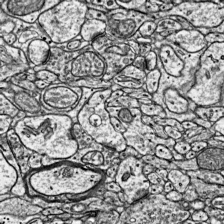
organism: Mouse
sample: Visual Cortex